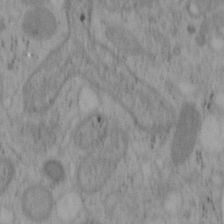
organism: Mouse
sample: OT-I killer T cells with ID8 ovarian cancer cells